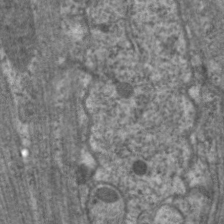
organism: C. elegans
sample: Pharynx